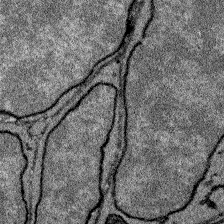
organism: Zebrafish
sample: Larval olfactory bulb